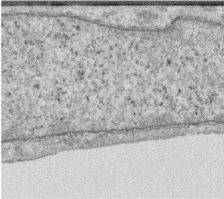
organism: Human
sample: Centriole in RPE cells